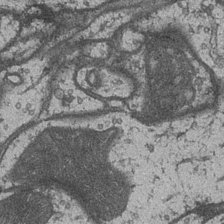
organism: Drosophila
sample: Optic medulla